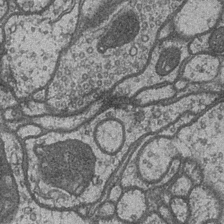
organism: Drosophila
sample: Optic medulla